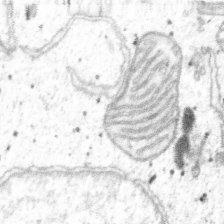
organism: Human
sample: HeLa cells